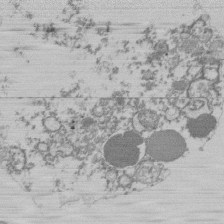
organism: Mouse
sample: Activated Pmel transgenic CD8+ T Cells